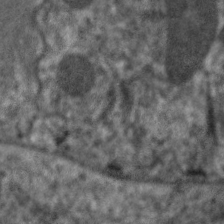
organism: C. elegans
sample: Pharynx